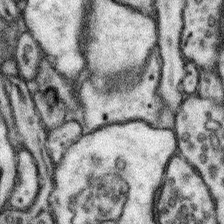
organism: Mouse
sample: Somatosensory cortex neuropil